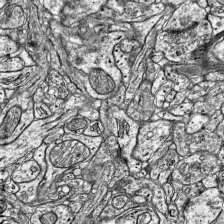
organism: Mouse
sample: Visual Cortex